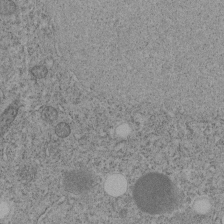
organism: C. elegans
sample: C. elegans embryo early stage